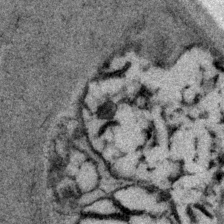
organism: P. pacificus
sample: Pharynx